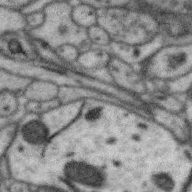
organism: Zebra finch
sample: Brain